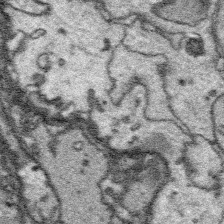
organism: Platynereis dumerilii